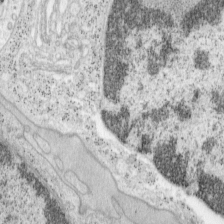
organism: Mouse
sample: OT-I killer T cells with ID8 ovarian cancer cells